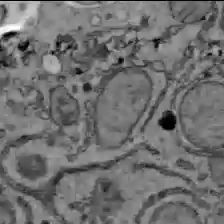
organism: C57BL Mouse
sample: Liver